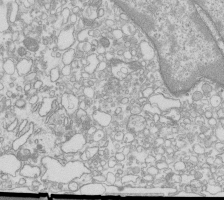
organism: Mouse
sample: Macrophages